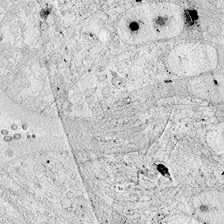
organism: Zebrafish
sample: Whole-Brain